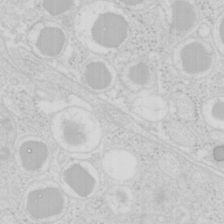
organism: Mouse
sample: Pancreas